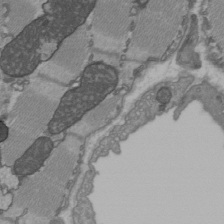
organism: C57BL Mouse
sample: Heart